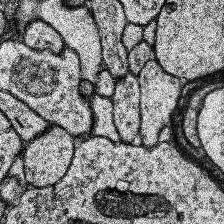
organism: Human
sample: Temporal Lobe